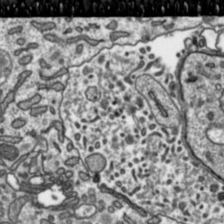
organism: Toxoplasma gondii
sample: Parasites in a vacuole inside a host cell